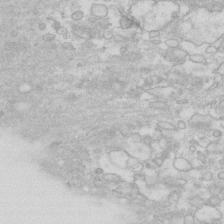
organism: Human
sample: Fibroblast cells